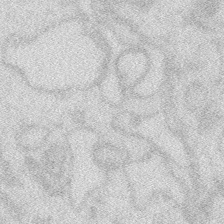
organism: Zebrafish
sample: Macrophage